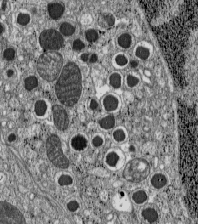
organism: C57BL Mouse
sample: Pancreatic islet